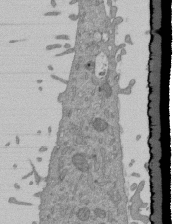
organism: Mouse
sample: ED-1 cell nuclei; centrioles